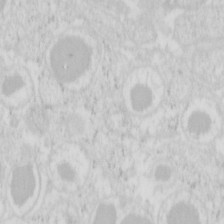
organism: Mouse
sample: Pancreas